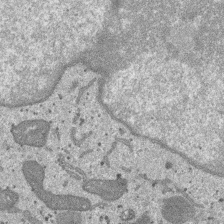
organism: Human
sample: Lung epithelial cells infected with SARS-CoV-2